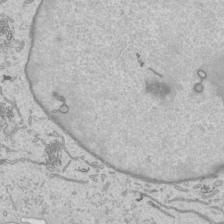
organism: Human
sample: Mitochondria in HCT116 cells